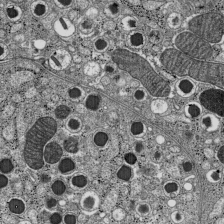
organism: C57BL Mouse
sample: Pancreatic islet